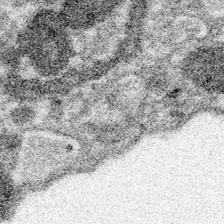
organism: Spongilla lacustris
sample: Neuroid cell